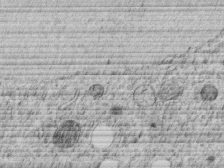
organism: C. elegans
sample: C. elegans embryo early stage